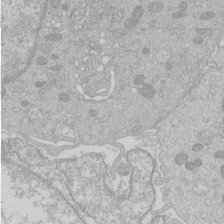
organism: Human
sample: Macrophage cells